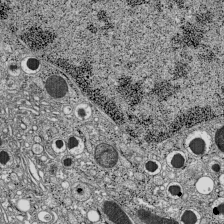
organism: C57BL Mouse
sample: Pancreatic islet